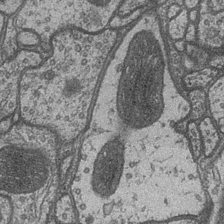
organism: Drosophila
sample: Optic medulla